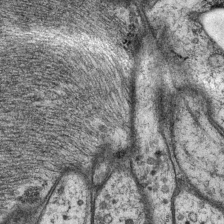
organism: P. pacificus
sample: Pharynx